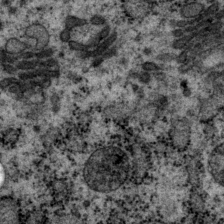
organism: P. pacificus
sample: Pharynx